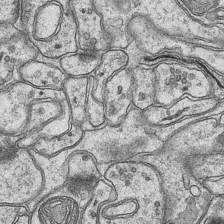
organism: Mouse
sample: CA1 Hippocampus